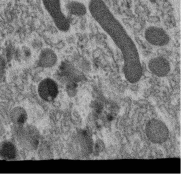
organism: C. elegans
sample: C. elegans oocyte; sperm cells